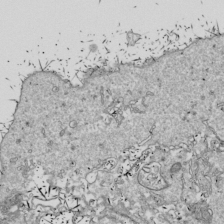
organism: Drosophila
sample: Cell division; meiosis; drosophila spermatocytes